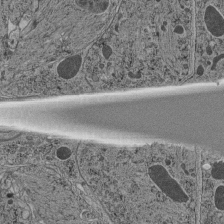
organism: C. elegans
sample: C. elegans pharynx